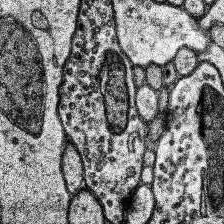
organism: Human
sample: Temporal Lobe